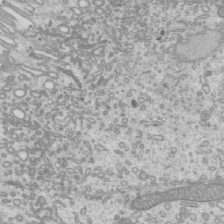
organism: Mouse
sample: Cilia; mouse epididymis